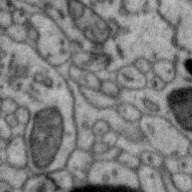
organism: Zebra finch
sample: Brain